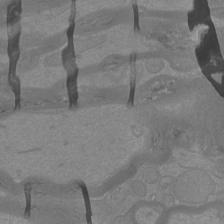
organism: Mouse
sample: Cortical neurons